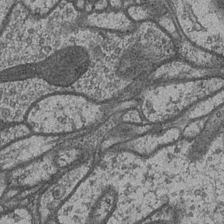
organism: Drosophila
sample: Optic medulla